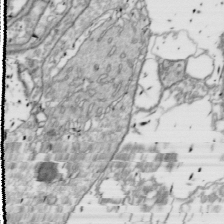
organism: Drosophila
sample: Cell division; meiosis; drosophila spermatocytes